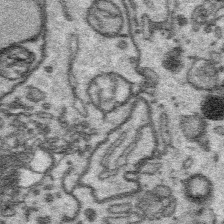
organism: Platynereis dumerilii